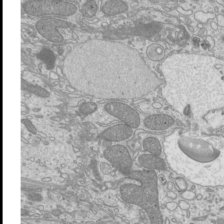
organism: Mouse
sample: Cilia; mouse epididymis